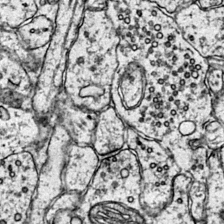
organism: Mouse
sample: Primary visual cortex